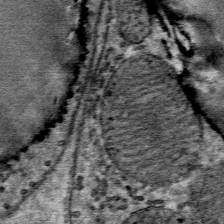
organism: Mouse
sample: Mouse Salivary gland